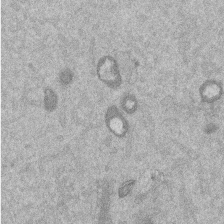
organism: Mouse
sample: Dividing mouse embryo 1 cell stage